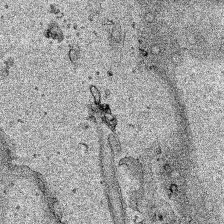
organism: Human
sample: Mitochondria in HCT116 cells